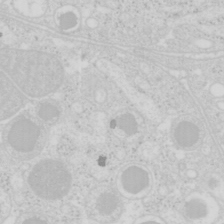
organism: Mouse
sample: Pancreas